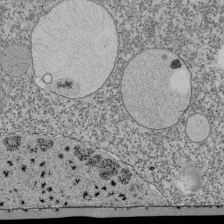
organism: Tetrahymena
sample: Cilia in tetrahymena